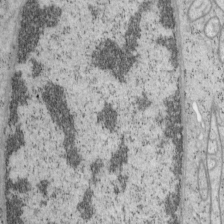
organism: Mouse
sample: OT-I killer T cells with ID8 ovarian cancer cells